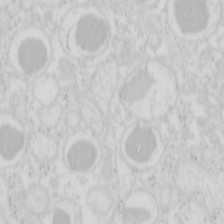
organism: Mouse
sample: Pancreas